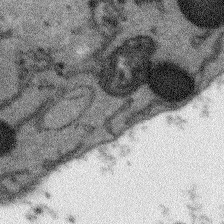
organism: Arabidopsis thaliana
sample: Root tip